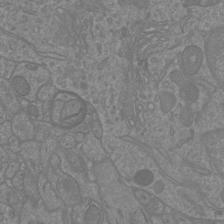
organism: Mouse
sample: Cortical neurons